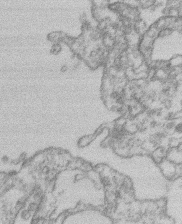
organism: Mouse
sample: T cell stromal cell synapse